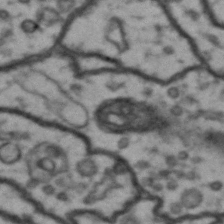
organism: Drosophila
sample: Brain